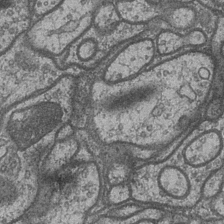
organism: Drosophila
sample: Optic medulla